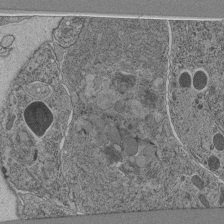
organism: C. elegans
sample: C. elegans pharynx